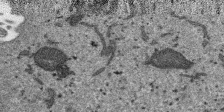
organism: Human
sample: Lung epithelial cells infected with SARS-CoV-2